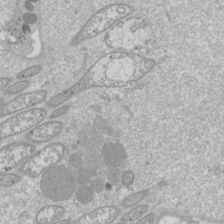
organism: Drosophila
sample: Cell division; meiosis; drosophila spermatocytes